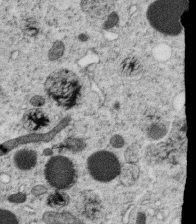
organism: C. elegans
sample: C. elegans oocyte; sperm cells